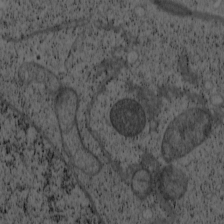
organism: African green monkey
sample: COS-7 cells